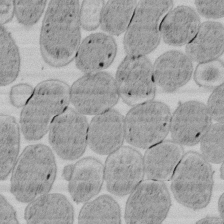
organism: E. coli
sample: Bacterial nucleoid